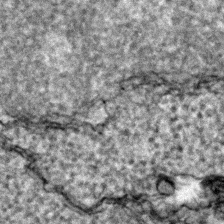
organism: Zebrafish